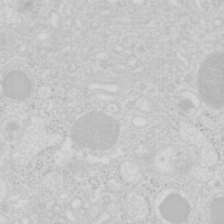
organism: Mouse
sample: Pancreas